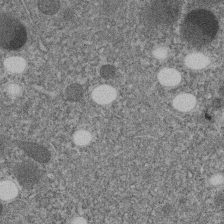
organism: C. elegans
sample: C. elegans embryo early stage